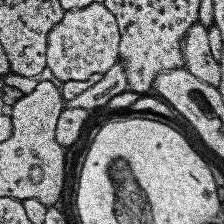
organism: Human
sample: Temporal Lobe